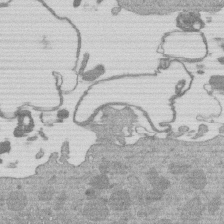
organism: Mouse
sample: Dividing mouse embryo 1 cell stage